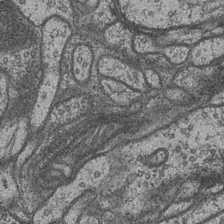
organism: Drosophila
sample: Optic medulla